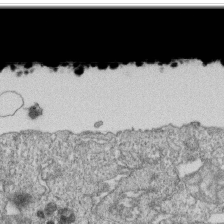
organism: Human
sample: HeLa cell HIV synapse